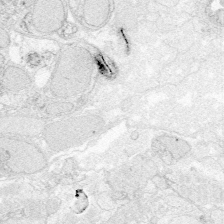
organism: Zebrafish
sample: Whole-Brain